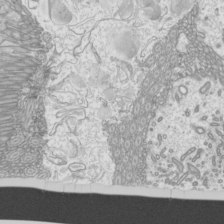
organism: Mouse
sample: Cilia; mouse epididymis